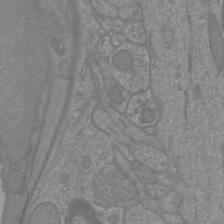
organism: Mouse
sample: Cortical neurons